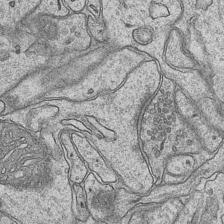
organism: Mouse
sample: CA1 Hippocampus